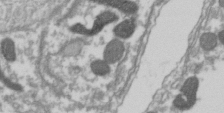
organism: Drosophila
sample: Cell division; meiosis; drosophila spermatocytes